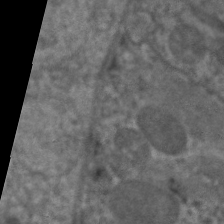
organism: C. elegans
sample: Pharynx